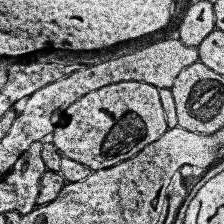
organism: Human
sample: Temporal Lobe